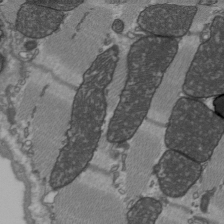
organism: C57BL Mouse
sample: Heart